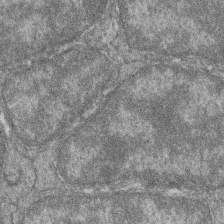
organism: Zebrafish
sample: Cilia; retinal pigment epithelium